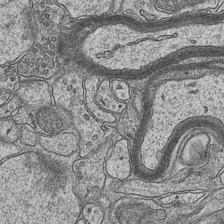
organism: Mouse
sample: CA1 Hippocampus